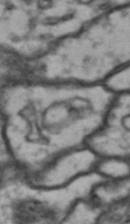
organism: Drosophila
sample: Brain